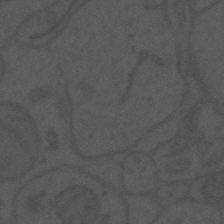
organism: Mouse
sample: Suprachiasmatic nucleus